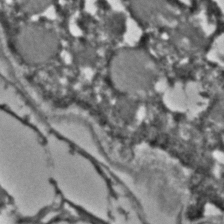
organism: C. elegans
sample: C. elegans embryo